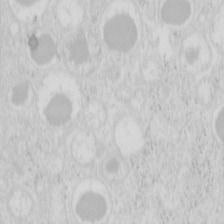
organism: Mouse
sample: Pancreas